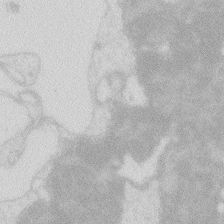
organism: Zebrafish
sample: Macrophage